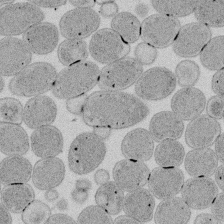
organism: E. coli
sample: Bacterial nucleoid